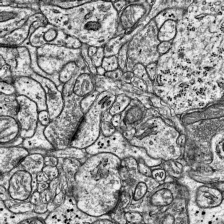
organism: Mouse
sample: Visual Cortex